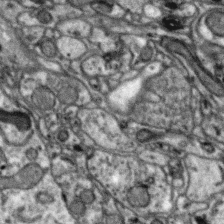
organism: Zebra finch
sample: Brain